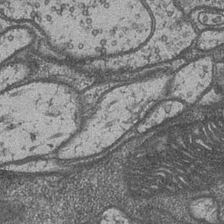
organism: Drosophila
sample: Optic medulla